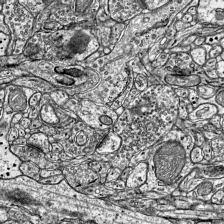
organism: Mouse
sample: Visual Cortex